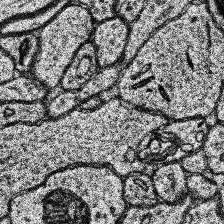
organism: Human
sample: Temporal Lobe